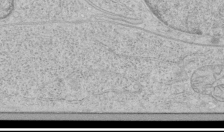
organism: Human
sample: Mitochondria in HCT116 cells